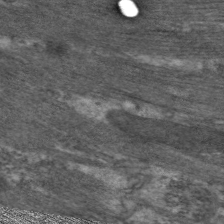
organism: C. elegans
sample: Pharynx